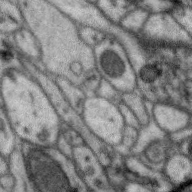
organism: Zebra finch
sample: Brain